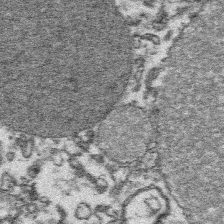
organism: Platynereis dumerilii